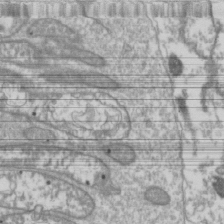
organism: Drosophila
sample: Cell division; meiosis; drosophila spermatocytes